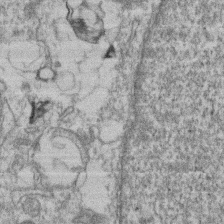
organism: Mouse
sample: T cell stromal cell synapse